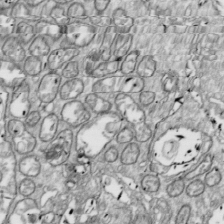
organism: Drosophila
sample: Cell division; meiosis; drosophila spermatocytes